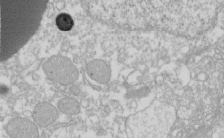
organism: Xenopus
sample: Cilia; centrioles in frog embryo cells